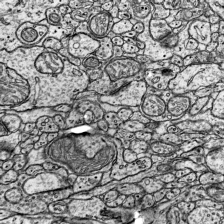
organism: Mouse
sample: Visual Cortex